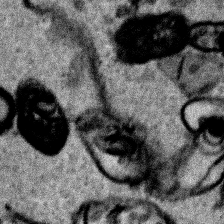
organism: Human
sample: Mitochondria in HCT116 cells